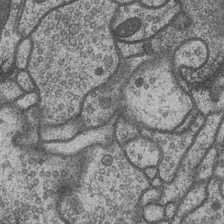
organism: Drosophila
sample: Optic medulla